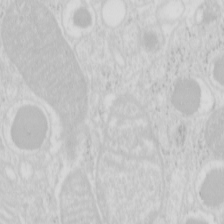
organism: Mouse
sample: Pancreas